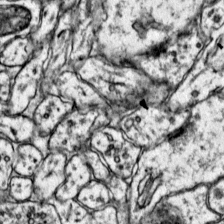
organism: Mouse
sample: Primary visual cortex